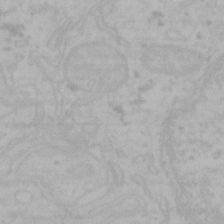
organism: Mouse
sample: Choroid plexus